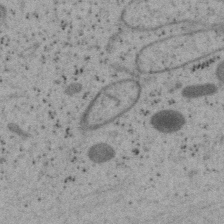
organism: Human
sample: HeLa cells